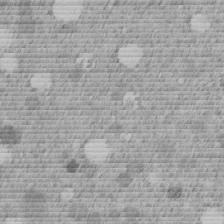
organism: C. elegans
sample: C. elegans embryo early stage